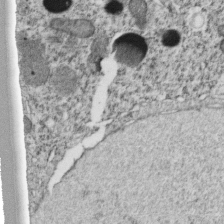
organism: C. elegans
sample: C. elegans embryo early stage